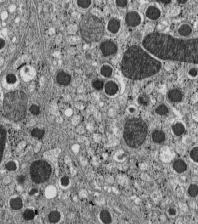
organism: C57BL Mouse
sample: Pancreatic islet